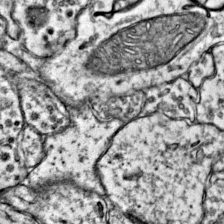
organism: Mouse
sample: Primary visual cortex